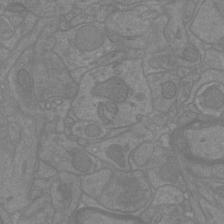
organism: Mouse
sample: Cortical neurons